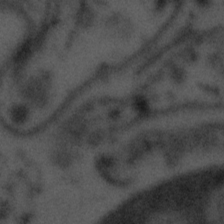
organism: Tuwongella immobilis